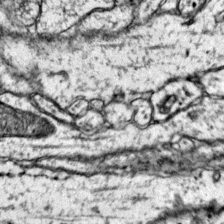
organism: Mouse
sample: Primary visual cortex